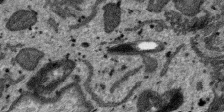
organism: Human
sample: Lung epithelial cells, uninfected (mock) control